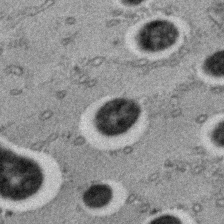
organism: C. elegans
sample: C. elegans embryo